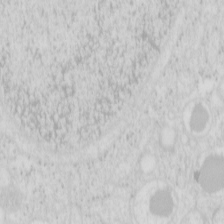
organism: Mouse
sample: Pancreas